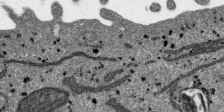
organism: Human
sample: Lung epithelial cells, uninfected (mock) control